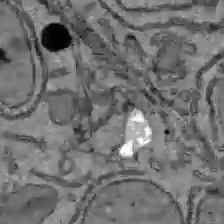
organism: C57BL Mouse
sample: Liver